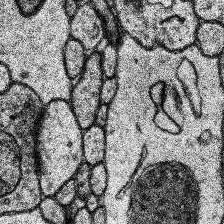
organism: Human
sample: Temporal Lobe